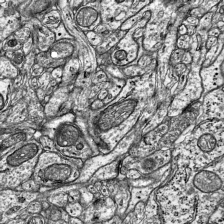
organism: Mouse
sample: Visual Cortex